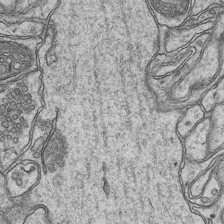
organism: Mouse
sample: CA1 Hippocampus